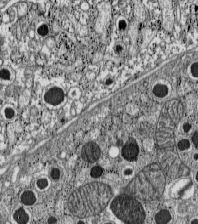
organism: C57BL Mouse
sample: Pancreatic islet